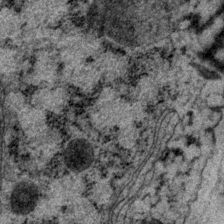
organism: P. pacificus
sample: Pharynx